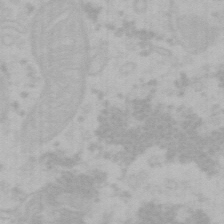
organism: Mouse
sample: Choroid plexus